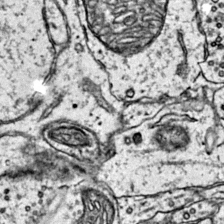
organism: Mouse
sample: Primary visual cortex